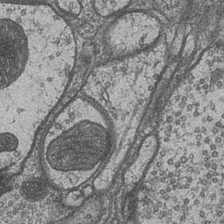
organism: Drosophila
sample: Optic medulla